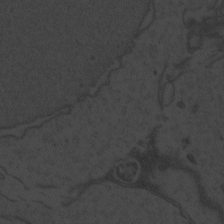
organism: Zebrafish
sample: Macrophage infected with Toxoplasma gondii